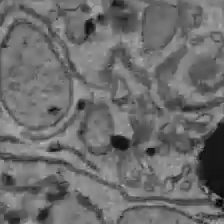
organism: C57BL Mouse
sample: Liver